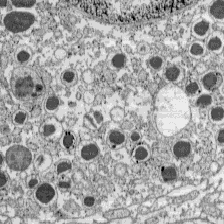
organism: C57BL Mouse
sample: Pancreatic islet